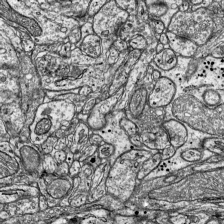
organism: Mouse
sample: Visual Cortex